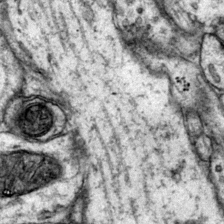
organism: Mouse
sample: Primary visual cortex